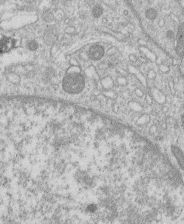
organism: Human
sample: Macrophage cells